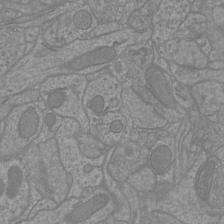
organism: Mouse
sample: Cortical neurons